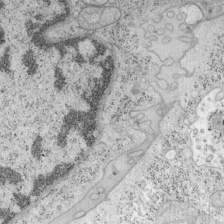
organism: Mouse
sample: OT-I killer T cells with ID8 ovarian cancer cells